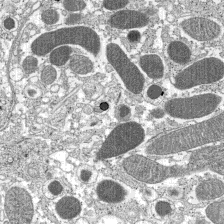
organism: C57BL Mouse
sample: Pancreatic islet